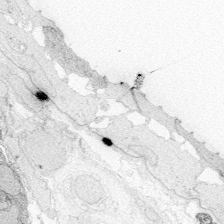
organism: Zebrafish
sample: Whole-Brain